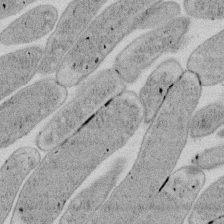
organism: E. coli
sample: Bacterial nucleoid